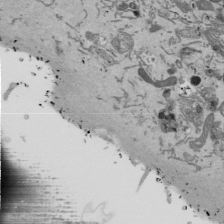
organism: Mouse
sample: ED-1 cell nuclei; centrioles